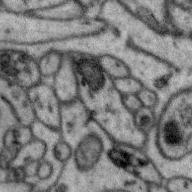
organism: Zebra finch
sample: Brain